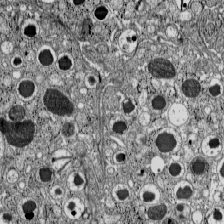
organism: C57BL Mouse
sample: Pancreatic islet